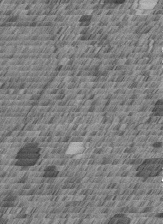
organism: C. elegans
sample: C. elegans embryo early stage